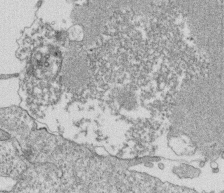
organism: Human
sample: HeLa cell HIV synapse